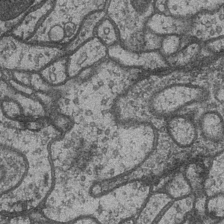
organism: Drosophila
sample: Optic medulla